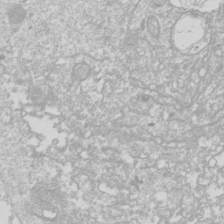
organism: Drosophila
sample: Cell division; meiosis; drosophila spermatocytes